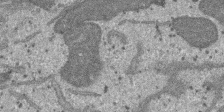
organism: Human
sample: Lung epithelial cells infected with SARS-CoV-2